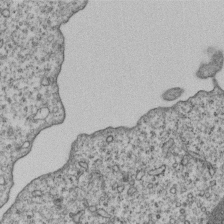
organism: Human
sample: MDA-MB-231 cells